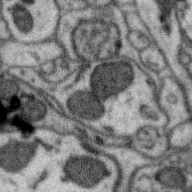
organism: Zebra finch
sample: Brain